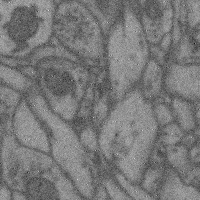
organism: Mouse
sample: Cerebral cortex